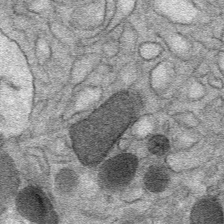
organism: Mouse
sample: Mouse Salivary gland